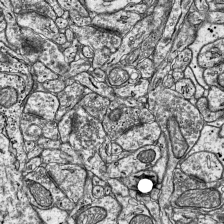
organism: Mouse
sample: Visual Cortex